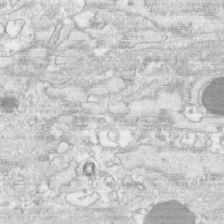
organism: Human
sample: CRL-1474